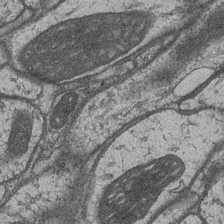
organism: Drosophila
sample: Optic medulla